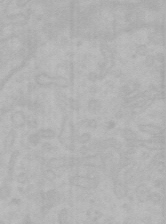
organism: Mouse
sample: Choroid plexus